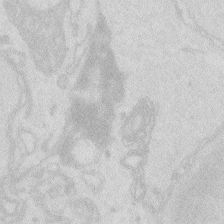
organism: Zebrafish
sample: Macrophage